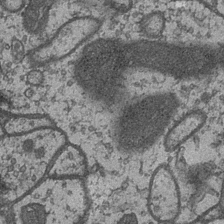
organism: Drosophila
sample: Optic medulla